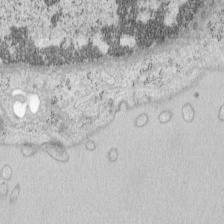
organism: Mouse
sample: OT-I killer T cells with ID8 ovarian cancer cells